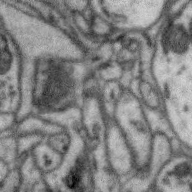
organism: Zebra finch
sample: Brain